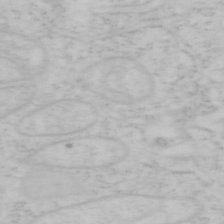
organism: Mouse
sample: OT-I killer T cells with ID8 ovarian cancer cells